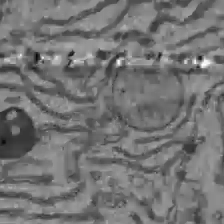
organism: C57BL Mouse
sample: Liver